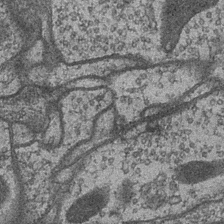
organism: Drosophila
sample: Optic medulla